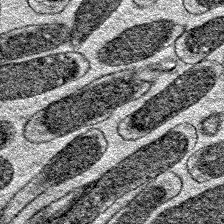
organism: E. coli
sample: E. Coli Bacteria